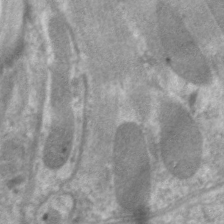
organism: C. elegans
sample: Pharynx